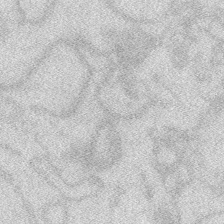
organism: Zebrafish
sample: Macrophage